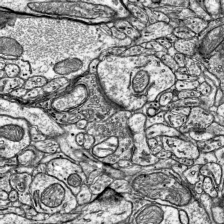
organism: Mouse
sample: Visual Cortex